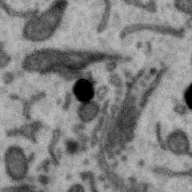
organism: Zebra finch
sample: Brain